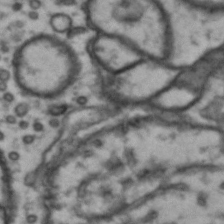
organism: Drosophila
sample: Brain